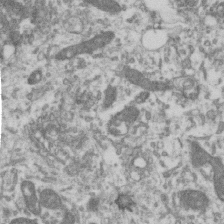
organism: Human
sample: Centriole in RPE cells